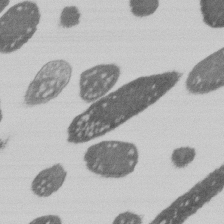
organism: E. coli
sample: Bacterial nucleoid